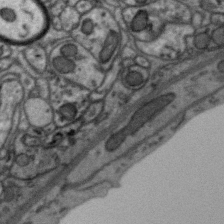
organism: Zebra finch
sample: Brain